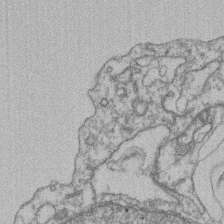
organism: Mouse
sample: T cell stromal cell synapse